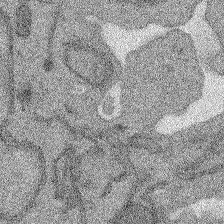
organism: Human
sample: HeLa cells